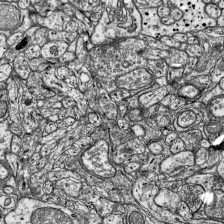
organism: Mouse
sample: Visual Cortex